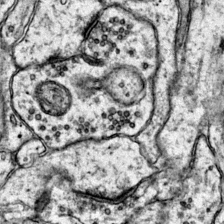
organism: Mouse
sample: Primary visual cortex